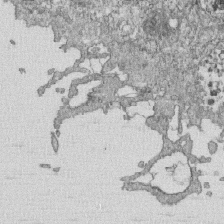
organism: Human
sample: HeLa cell HIV synapse